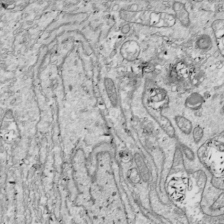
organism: Drosophila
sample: Cell division; meiosis; drosophila spermatocytes